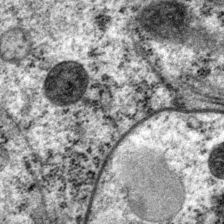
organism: P. pacificus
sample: Pharynx